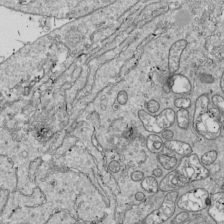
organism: Drosophila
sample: Cell division; meiosis; drosophila spermatocytes